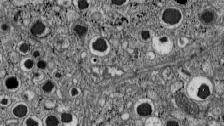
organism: C57BL Mouse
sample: Pancreatic islet